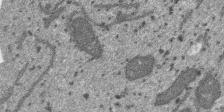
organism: Human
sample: Lung epithelial cells infected with SARS-CoV-2